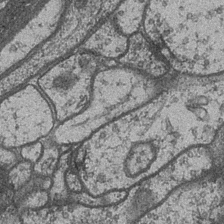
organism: Drosophila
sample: Optic medulla